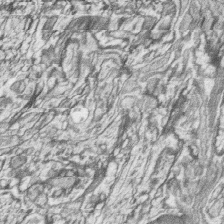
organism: Zebrafish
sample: synaptic ribbons in rod cells and cone cells